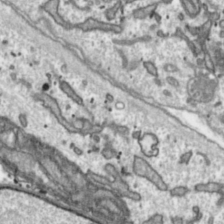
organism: Toxoplasma gondii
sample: Parasites in a vacuole inside a host cell